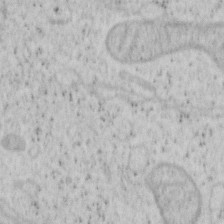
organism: Human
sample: HeLa cells